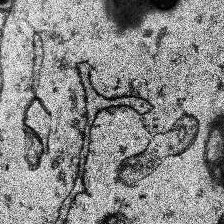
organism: Human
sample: Temporal Lobe